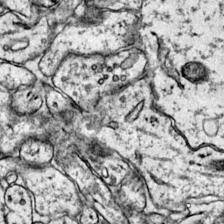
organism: Mouse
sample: Primary visual cortex